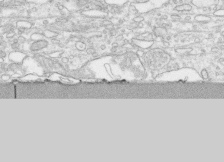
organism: Human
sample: CRL-1474